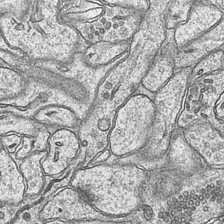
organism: Mouse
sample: CA1 Hippocampus